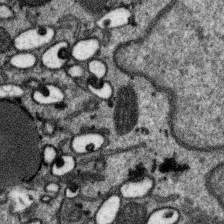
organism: Human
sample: Lung epithelial cells infected with SARS-CoV-2